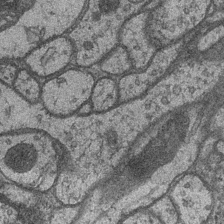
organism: Drosophila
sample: Optic medulla